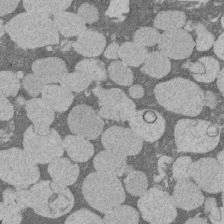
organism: Rat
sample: Salivary granule